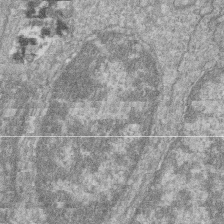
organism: Zebrafish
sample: Cilia; retinal pigment epithelium